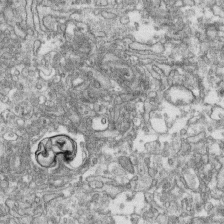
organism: Human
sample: CRL-1474